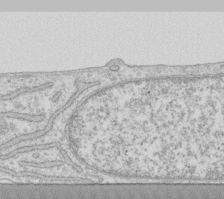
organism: Human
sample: Fibroblast cells